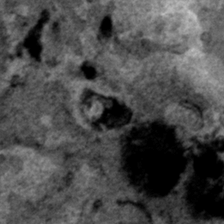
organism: Human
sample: Mitochondria in HCT116 cells